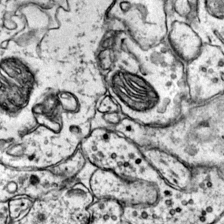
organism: Mouse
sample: Primary visual cortex